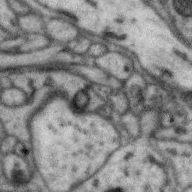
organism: Zebra finch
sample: Brain